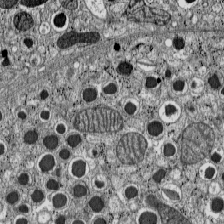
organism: C57BL Mouse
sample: Pancreatic islet